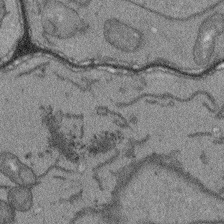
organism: Arabidopsis thaliana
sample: Root tip